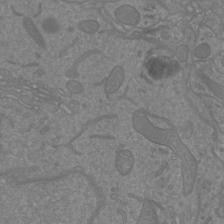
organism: Mouse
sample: Cortical neurons